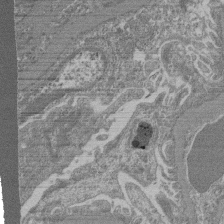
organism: Mouse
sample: Glomerulus